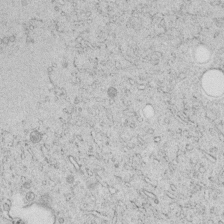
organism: C. elegans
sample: C. elegans embryo early stage